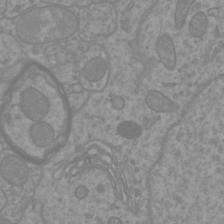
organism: Mouse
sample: Cortical neurons